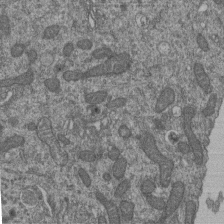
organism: Human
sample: Retinal organoid Rod and Cone cells